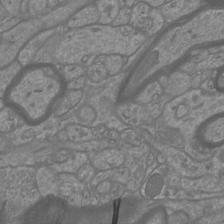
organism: Mouse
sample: Cortical neurons